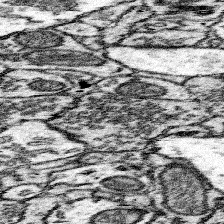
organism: Mouse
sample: Somatosensory cortex neuropil